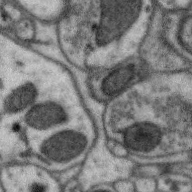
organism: Zebra finch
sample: Brain